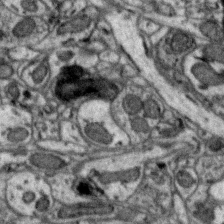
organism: Zebra finch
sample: Brain